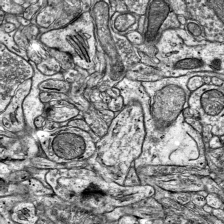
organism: Mouse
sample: Visual Cortex